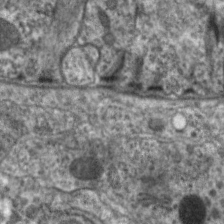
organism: C. elegans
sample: Pharynx